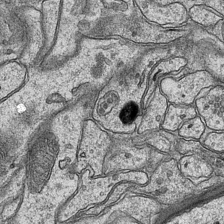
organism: Mouse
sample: CA1 Hippocampus